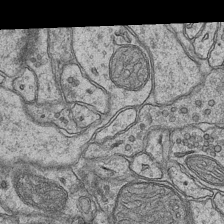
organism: Mouse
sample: CA1 Hippocampus